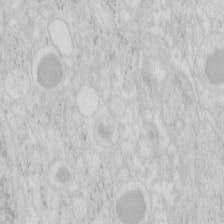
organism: Mouse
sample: Pancreas